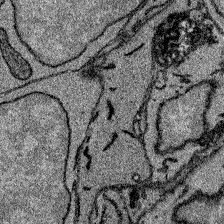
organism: Zebrafish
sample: Larval olfactory bulb